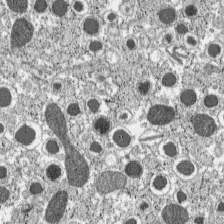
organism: C57BL Mouse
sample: Pancreatic islet